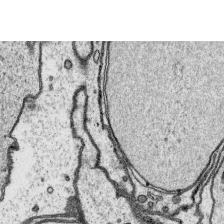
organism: Platynereis dumerilii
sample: Parapodia